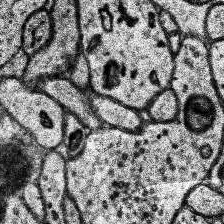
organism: Human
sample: Temporal Lobe